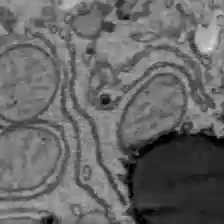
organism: C57BL Mouse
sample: Liver